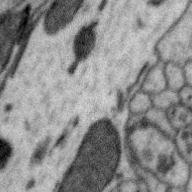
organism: Zebra finch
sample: Brain